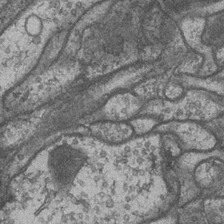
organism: Drosophila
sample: Optic medulla